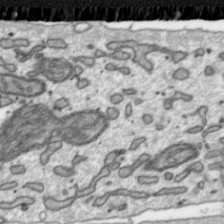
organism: Toxoplasma gondii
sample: Parasites in a vacuole inside a host cell